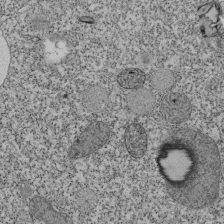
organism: Tetrahymena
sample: Cilia in tetrahymena